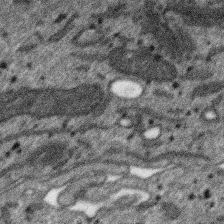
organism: Human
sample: Lung epithelial cells infected with SARS-CoV-2